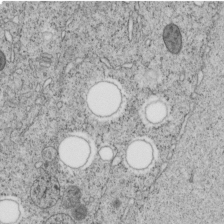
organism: C. elegans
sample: C. elegans embryo early stage